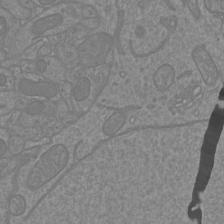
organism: Mouse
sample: Cortical neurons